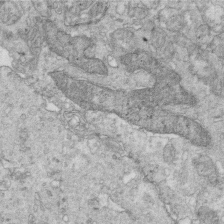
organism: Mouse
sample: Multiciliated cells